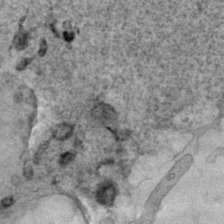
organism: Human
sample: Mitochondria in HCT116 cells